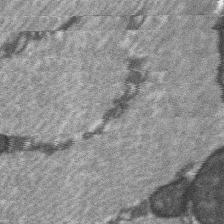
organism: C57BL Mouse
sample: Soleus